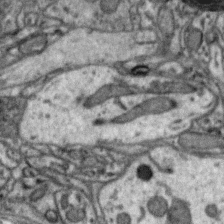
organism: Zebra finch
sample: Brain